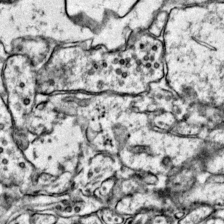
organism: Mouse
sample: Primary visual cortex